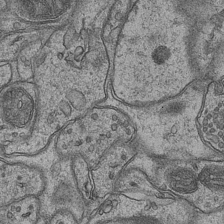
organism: Mouse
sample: CA1 Hippocampus